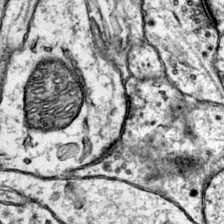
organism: Mouse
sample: Primary visual cortex